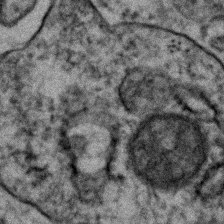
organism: Human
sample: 1205lu cells